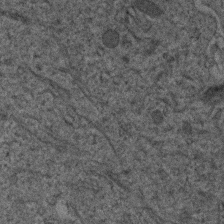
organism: Human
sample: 1205lu cells